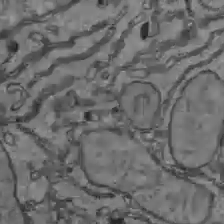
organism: C57BL Mouse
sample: Liver